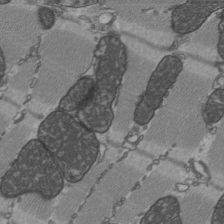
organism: C57BL Mouse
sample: Heart